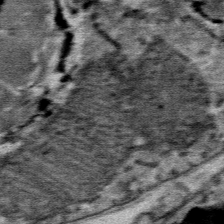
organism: Mouse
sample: Mouse Salivary gland